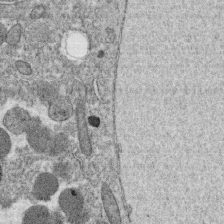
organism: C. elegans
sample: C. elegans oocyte; sperm cells